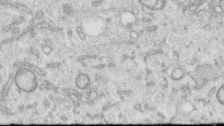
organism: Human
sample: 1205lu cells